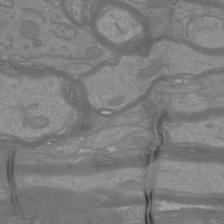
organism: Mouse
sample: Cortical neurons